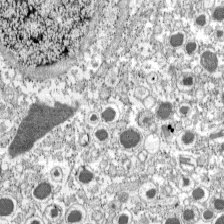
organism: C57BL Mouse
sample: Pancreatic islet